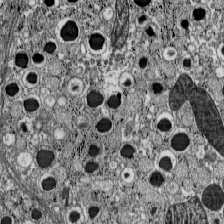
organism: C57BL Mouse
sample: Pancreatic islet